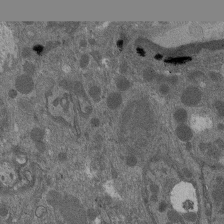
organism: Drosophila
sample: Antenna